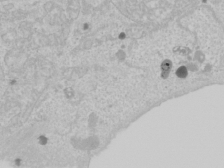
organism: Human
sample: Mitochondria in U2OS cells